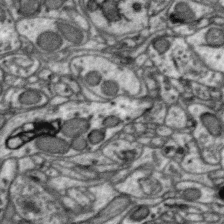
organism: Zebra finch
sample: Brain